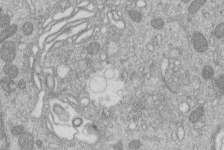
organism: Human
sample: Macrophage cells